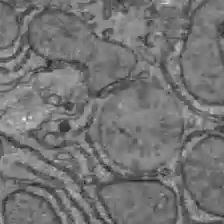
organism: C57BL Mouse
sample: Liver